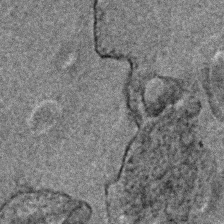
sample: Trachea